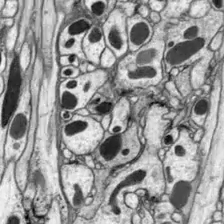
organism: Drosophila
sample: Optic lobe